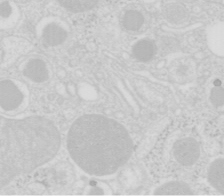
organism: Mouse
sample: Pancreas